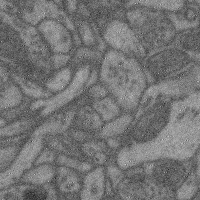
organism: Mouse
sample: Cerebral cortex